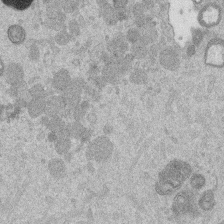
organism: Mouse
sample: Dividing mouse embryo 1 cell stage